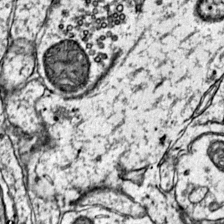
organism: Mouse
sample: Primary visual cortex